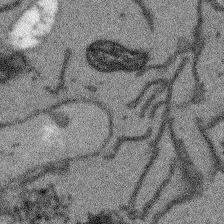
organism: Arabidopsis thaliana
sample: Root tip